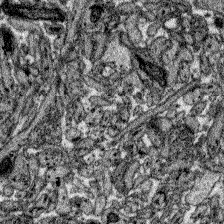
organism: Zebrafish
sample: Larval olfactory bulb